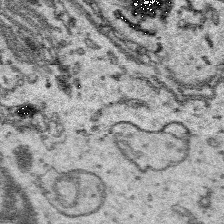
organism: Platynereis dumerilii